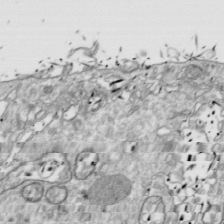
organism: Drosophila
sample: Cell division; meiosis; drosophila spermatocytes